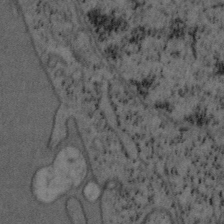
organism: Human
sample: HeLa cells